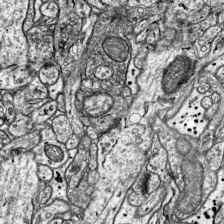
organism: Mouse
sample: Visual Cortex